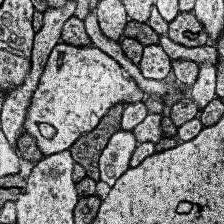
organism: Human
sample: Temporal Lobe